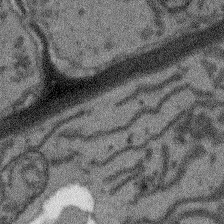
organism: Arabidopsis thaliana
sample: Root tip